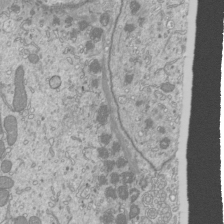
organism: Mouse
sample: Cilia; mouse epididymis